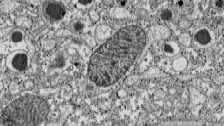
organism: C57BL Mouse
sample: Pancreatic islet